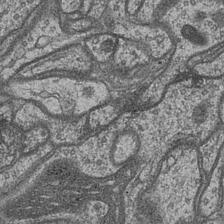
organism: Drosophila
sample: Optic medulla